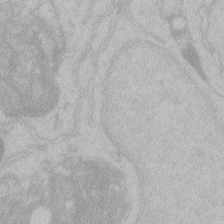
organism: Zebrafish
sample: Macrophage infected with Toxoplasma gondii